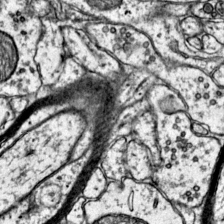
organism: Mouse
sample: Primary visual cortex